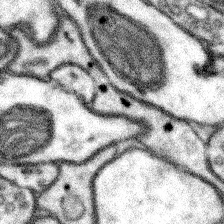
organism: Mouse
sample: Somatosensory cortex neuropil